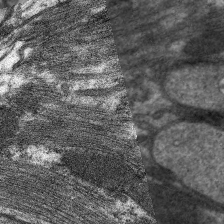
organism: C. elegans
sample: Pharynx